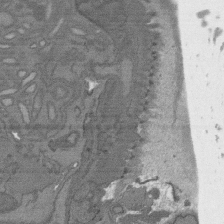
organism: C. elegans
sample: AFD neurons C. elegans